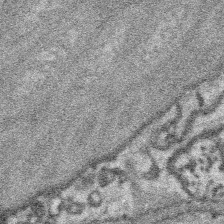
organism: Platynereis dumerilii